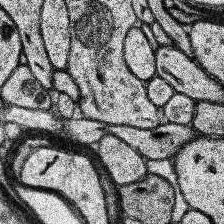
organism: Human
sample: Temporal Lobe